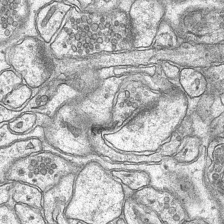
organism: Mouse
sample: CA1 Hippocampus